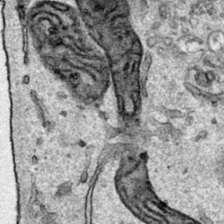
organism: Human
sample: Mitochondria in HCT116 cells